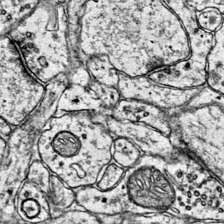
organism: Mouse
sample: Primary visual cortex